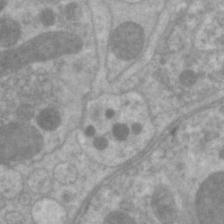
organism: C. elegans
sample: Pharynx